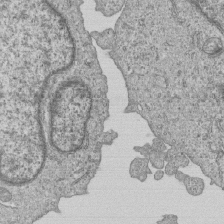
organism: Human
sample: MDA-MB-231 cells